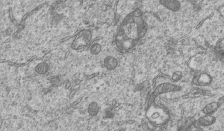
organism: Human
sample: MDA-MB-231 cells